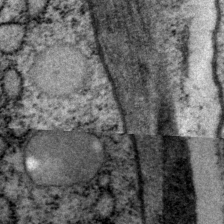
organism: P. pacificus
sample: Pharynx